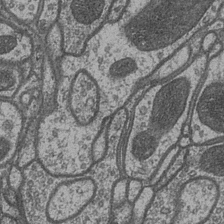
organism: Drosophila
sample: Optic medulla